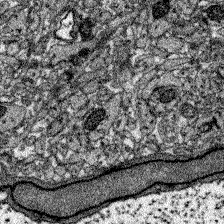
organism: Zebrafish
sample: Larval olfactory bulb